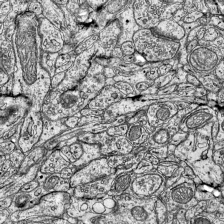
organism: Mouse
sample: Visual Cortex